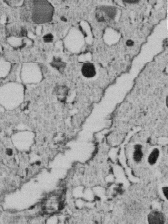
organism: C. elegans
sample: C. elegans embryo early stage